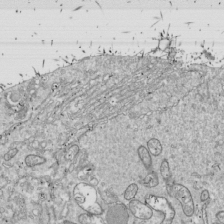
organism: Drosophila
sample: Cell division; meiosis; drosophila spermatocytes